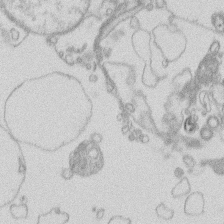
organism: Human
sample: Macrophage cells